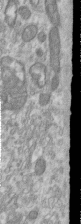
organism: Human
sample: Centriole in RPE cells